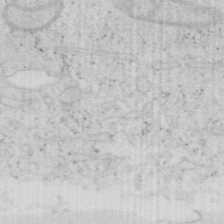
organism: Human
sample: HeLa cells